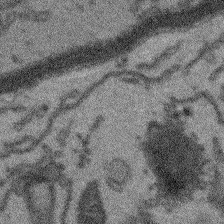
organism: Arabidopsis thaliana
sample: Root tip